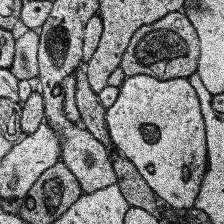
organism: Human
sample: Temporal Lobe